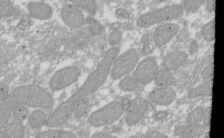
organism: Xenopus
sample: Cilia; centrioles in frog embryo cells